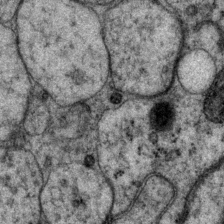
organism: P. pacificus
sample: Pharynx